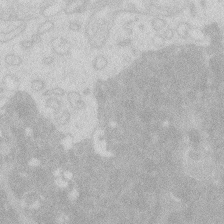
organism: Zebrafish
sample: Macrophage